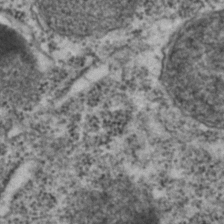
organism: C. elegans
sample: C. elegans embryo